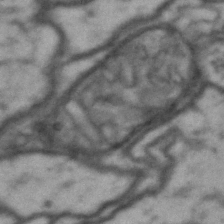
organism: Drosophila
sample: Brain